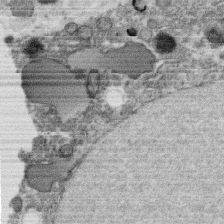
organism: C. elegans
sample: C. elegans oocyte; sperm cells